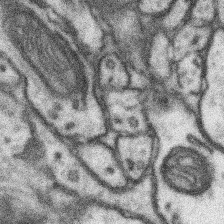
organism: Mouse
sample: Somatosensory cortex neuropil